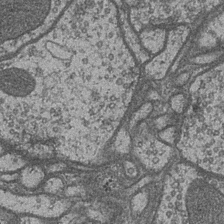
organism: Drosophila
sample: Optic medulla